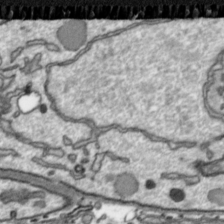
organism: Toxoplasma gondii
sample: Parasites in a vacuole inside a host cell